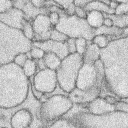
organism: Rabbit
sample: Retina